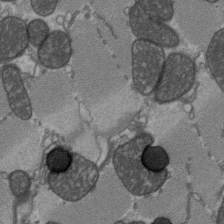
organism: C57BL Mouse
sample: Heart